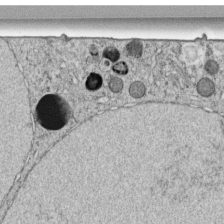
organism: C. elegans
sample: C. elegans embryo early stage